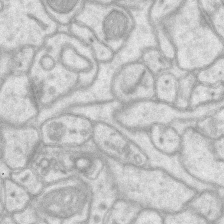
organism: Mouse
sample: CA1 Hippocampus